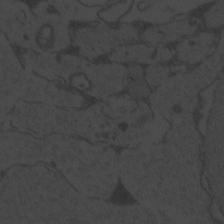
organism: Zebrafish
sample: Macrophage infected with Toxoplasma gondii